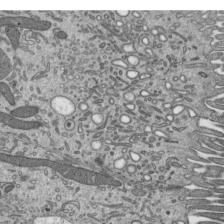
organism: Mouse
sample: Mouse epididymis efferent ductule cilia